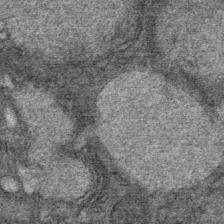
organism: Mouse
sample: Mouse Salivary gland